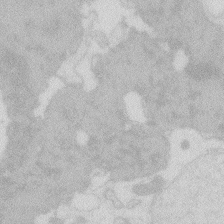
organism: Zebrafish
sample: Macrophage